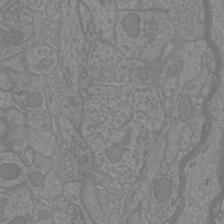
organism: Mouse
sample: Cortical neurons